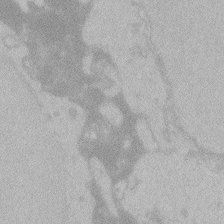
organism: Zebrafish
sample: Macrophage infected with Toxoplasma gondii